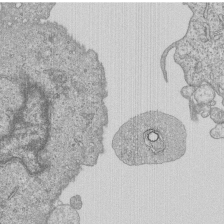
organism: Human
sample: MDA-MB-231 cells